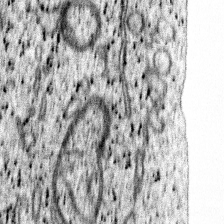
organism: Human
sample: HeLa cells